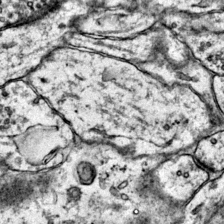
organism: Mouse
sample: Primary visual cortex